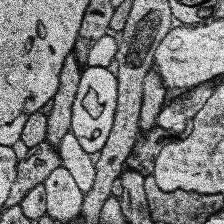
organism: Human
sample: Temporal Lobe